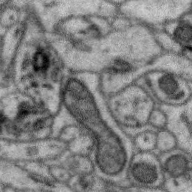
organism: Zebra finch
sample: Brain